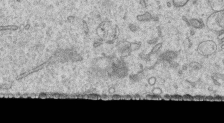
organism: Human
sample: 1205lu cells